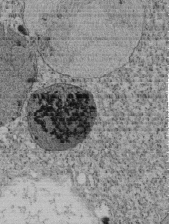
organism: Tetrahymena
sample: Cilia in tetrahymena